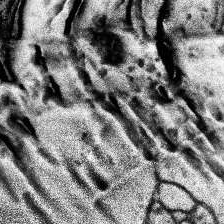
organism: Human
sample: Temporal Lobe